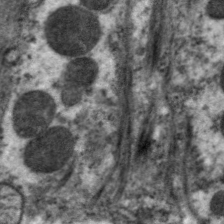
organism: C. elegans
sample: Pharynx